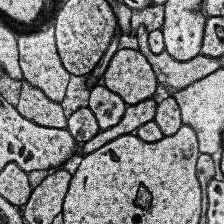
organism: Human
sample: Temporal Lobe